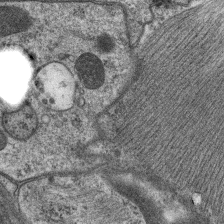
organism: C. elegans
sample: Pharynx